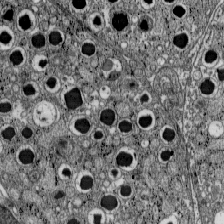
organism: C57BL Mouse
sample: Pancreatic islet